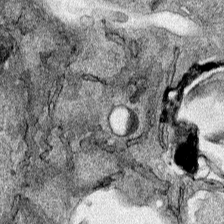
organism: Human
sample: Mitochondria in HCT116 cells